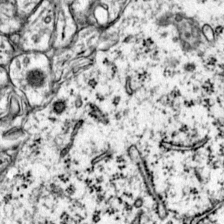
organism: Mouse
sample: Primary visual cortex